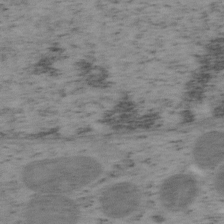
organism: Mouse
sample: OT-I killer T cells with ID8 ovarian cancer cells